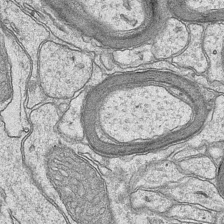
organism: Mouse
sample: CA1 Hippocampus